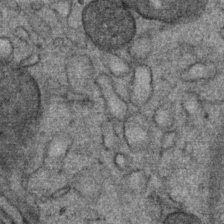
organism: Mouse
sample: Mouse Salivary gland